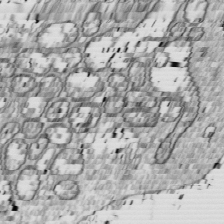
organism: Drosophila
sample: Cell division; meiosis; drosophila spermatocytes